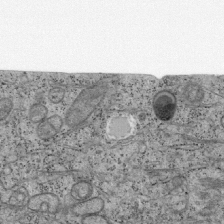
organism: Human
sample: HeLa cells